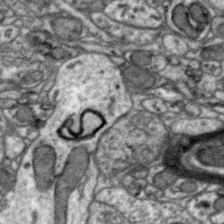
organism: Zebra finch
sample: Brain